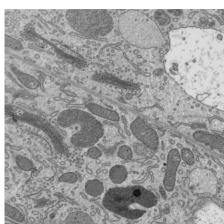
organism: Mouse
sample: Mouse epididymis efferent ductule cilia